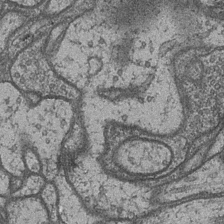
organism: Drosophila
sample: Optic medulla